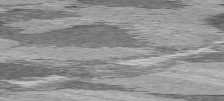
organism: C57BL Mouse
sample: Heart